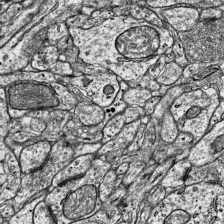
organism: Mouse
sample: Visual Cortex